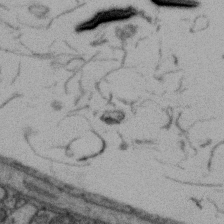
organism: Zebra finch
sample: Brain